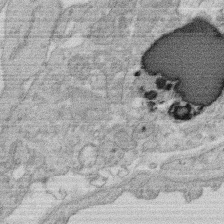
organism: Rat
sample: Salivary granule